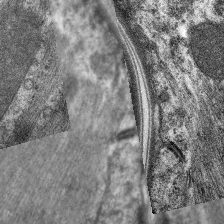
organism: C. elegans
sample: Pharynx